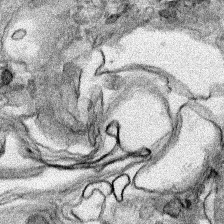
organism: Human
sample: Mitochondria in HCT116 cells